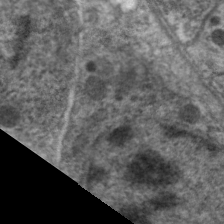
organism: C. elegans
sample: Pharynx